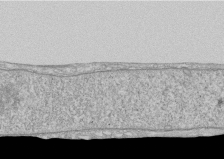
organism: Human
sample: CRL-1474